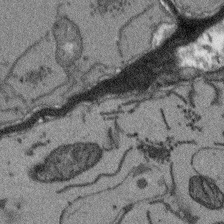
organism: Arabidopsis thaliana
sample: Root tip